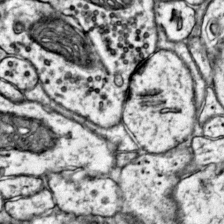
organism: Mouse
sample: Primary visual cortex